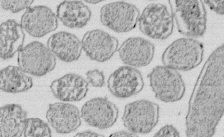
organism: E. coli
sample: Bacterial nucleoid